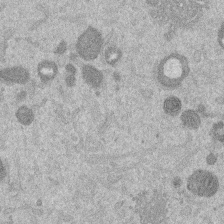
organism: Mouse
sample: Dividing mouse embryo 1 cell stage